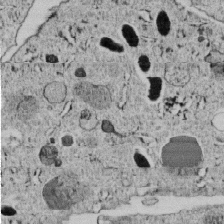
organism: C. elegans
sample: C. elegans embryo early stage